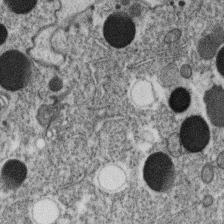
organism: C. elegans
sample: C. elegans oocyte; sperm cells